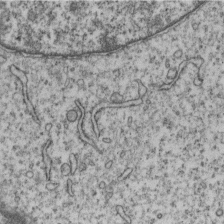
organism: Human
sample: MDA-MB-231 cells